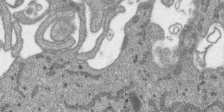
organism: Human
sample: Lung epithelial cells infected with SARS-CoV-2